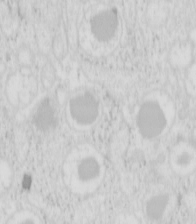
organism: Mouse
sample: Pancreas